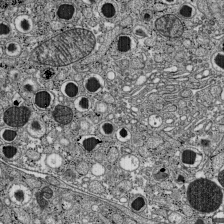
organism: C57BL Mouse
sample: Pancreatic islet